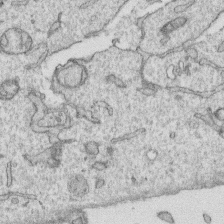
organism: Human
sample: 1205lu cells